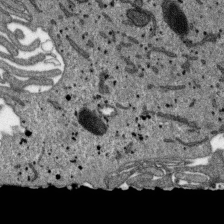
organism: Human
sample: Lung epithelial cells, uninfected (mock) control